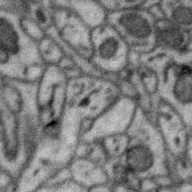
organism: Zebra finch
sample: Brain